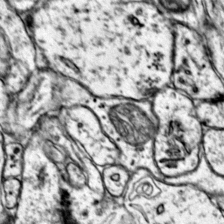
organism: Mouse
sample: Primary visual cortex